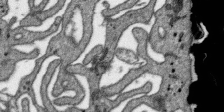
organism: Human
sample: Lung epithelial cells, uninfected (mock) control